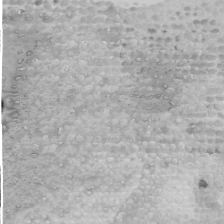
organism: Human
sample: Mitochondria in U2OS cells